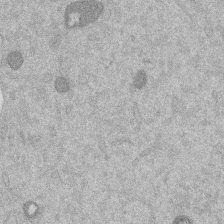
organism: Mouse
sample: Dividing mouse embryo 1 cell stage